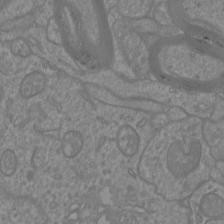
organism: Mouse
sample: Cortical neurons